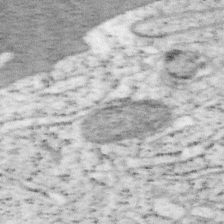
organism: Mouse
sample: OT-I killer T cells with ID8 ovarian cancer cells